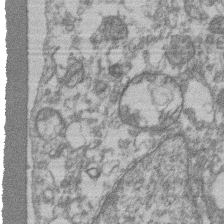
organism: Mouse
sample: T cell stromal cell synapse